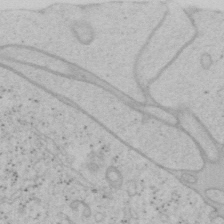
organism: Human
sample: HeLa cells